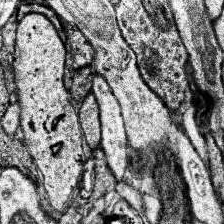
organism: Human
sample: Temporal Lobe